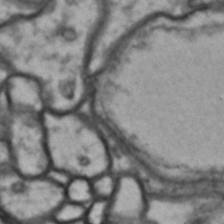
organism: Drosophila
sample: Brain